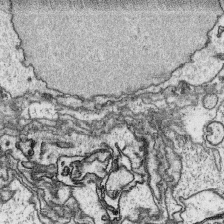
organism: Platynereis dumerilii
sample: Parapodia